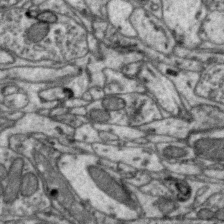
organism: Zebra finch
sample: Brain